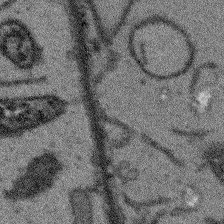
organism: Arabidopsis thaliana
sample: Root tip